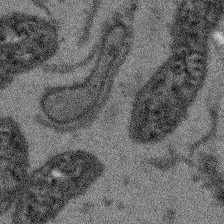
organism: Arabidopsis thaliana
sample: Root tip